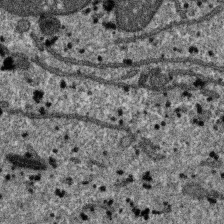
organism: Human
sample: Lung epithelial cells infected with SARS-CoV-2